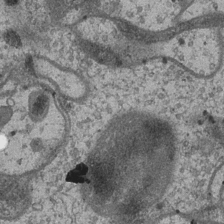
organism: Drosophila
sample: Optic medulla